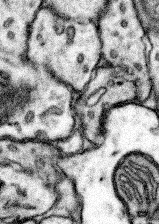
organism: Mouse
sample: Somatosensory cortex neuropil